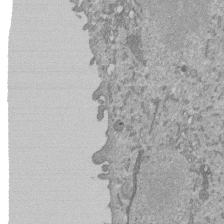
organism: Mouse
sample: ED-1 cell nuclei; centrioles